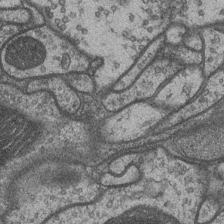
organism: Drosophila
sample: Optic medulla